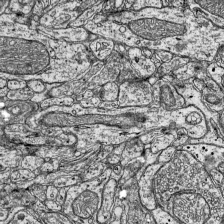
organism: Mouse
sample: Visual Cortex